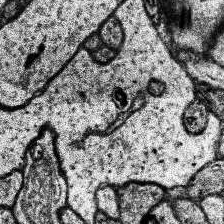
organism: Human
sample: Temporal Lobe